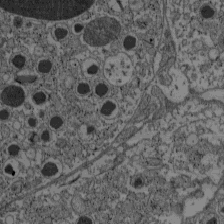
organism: C57BL Mouse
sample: Pancreatic islet